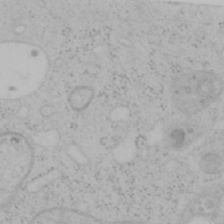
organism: Mouse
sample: OT-I killer T cells with ID8 ovarian cancer cells